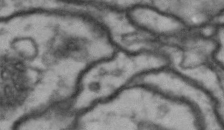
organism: Drosophila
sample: Brain